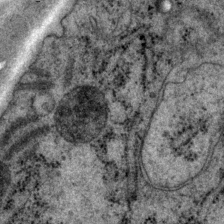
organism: P. pacificus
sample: Pharynx